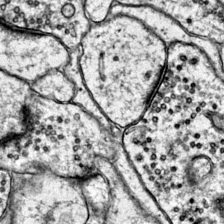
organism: Mouse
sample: Primary visual cortex